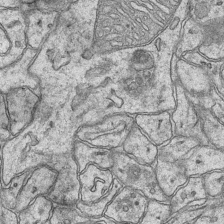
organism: Mouse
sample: CA1 Hippocampus